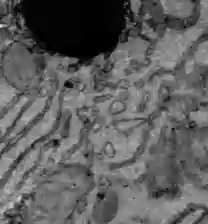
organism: C57BL Mouse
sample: Liver